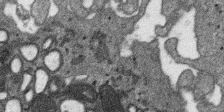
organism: Human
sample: Lung epithelial cells infected with SARS-CoV-2